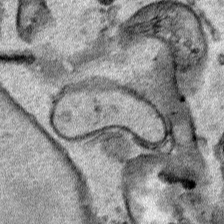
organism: Human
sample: Mitochondria in HCT116 cells